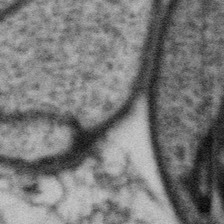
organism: Gemmata obscuriglobus